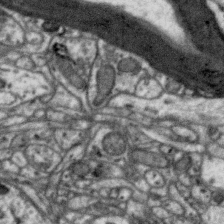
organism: Zebra finch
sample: Brain